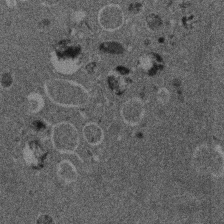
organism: Mouse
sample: Dividing mouse embryo 1 cell stage